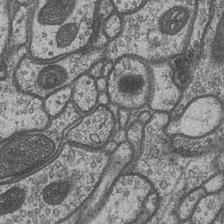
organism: Drosophila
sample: Optic medulla